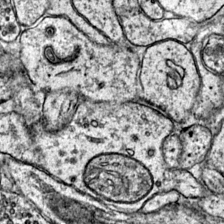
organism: Mouse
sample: Primary visual cortex